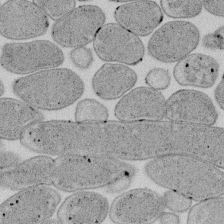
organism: E. coli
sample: Bacterial nucleoid